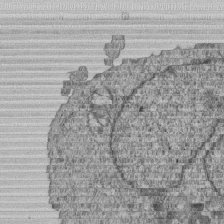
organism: Human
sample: MDA-MB-231 cells